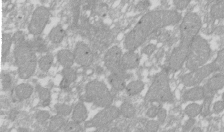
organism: Xenopus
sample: Cilia; centrioles in frog embryo cells